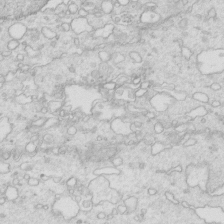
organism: Mouse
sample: Multiciliated cells